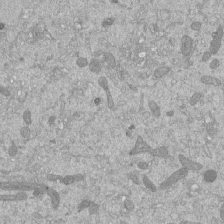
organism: Mouse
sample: ED-1 cell nuclei; centrioles